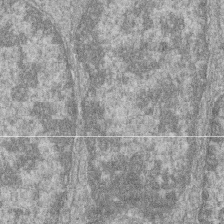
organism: Zebrafish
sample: Cilia; retinal pigment epithelium